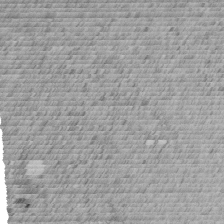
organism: C. elegans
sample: C. elegans embryo early stage